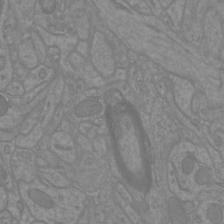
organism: Mouse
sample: Cortical neurons